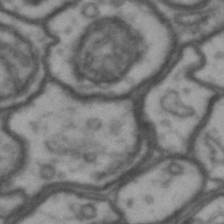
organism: Drosophila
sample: Brain